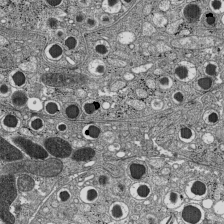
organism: C57BL Mouse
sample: Pancreatic islet